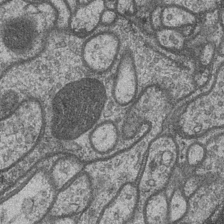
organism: Drosophila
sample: Optic medulla